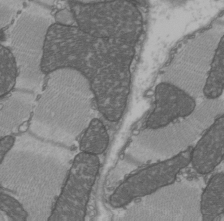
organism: C57BL Mouse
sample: Heart